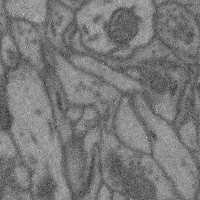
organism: Mouse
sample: Cerebral cortex